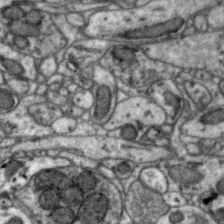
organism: Zebra finch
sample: Brain